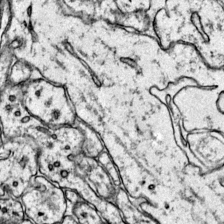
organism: Mouse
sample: Primary visual cortex